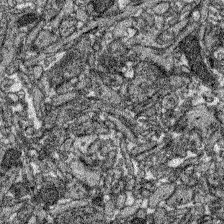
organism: Zebrafish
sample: Larval olfactory bulb